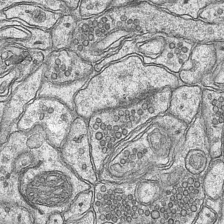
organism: Mouse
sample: CA1 Hippocampus